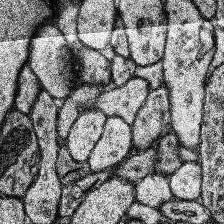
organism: Human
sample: Temporal Lobe